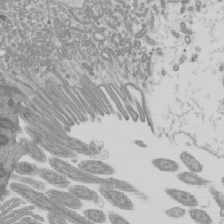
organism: Mouse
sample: Cilia; mouse epididymis